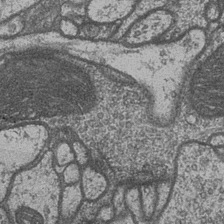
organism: Drosophila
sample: Optic medulla